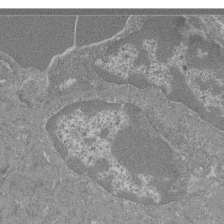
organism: Mouse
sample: Glomerulus